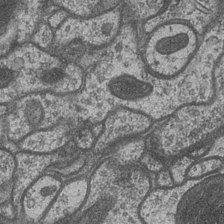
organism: Drosophila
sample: Optic medulla